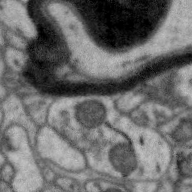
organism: Zebra finch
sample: Brain